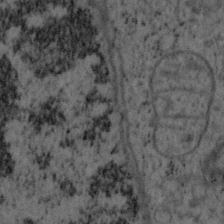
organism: Human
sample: HeLa cells